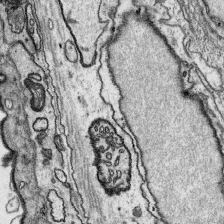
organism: Platynereis dumerilii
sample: Parapodia